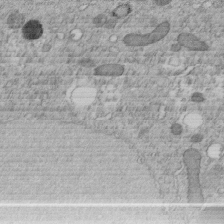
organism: C. elegans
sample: C. elegans embryo early stage